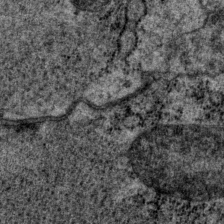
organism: P. pacificus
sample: Pharynx